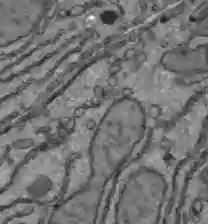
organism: C57BL Mouse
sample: Liver